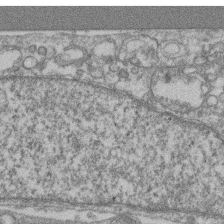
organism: Mouse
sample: T cell stromal cell synapse